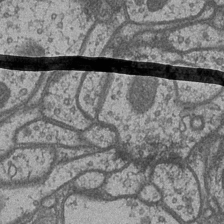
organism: Drosophila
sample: Optic medulla